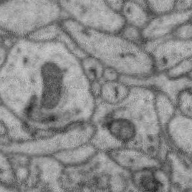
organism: Zebra finch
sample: Brain